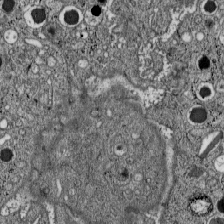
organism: C57BL Mouse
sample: Pancreatic islet